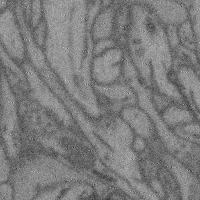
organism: Mouse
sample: Cerebral cortex